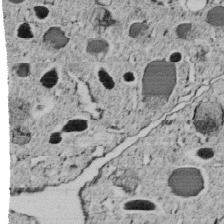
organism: C. elegans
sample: C. elegans embryo early stage